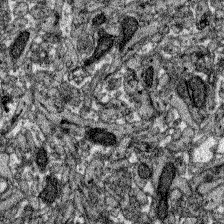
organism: Zebrafish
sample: Larval olfactory bulb